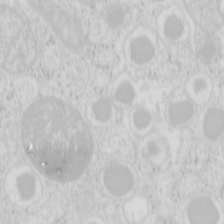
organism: Mouse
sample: Pancreas